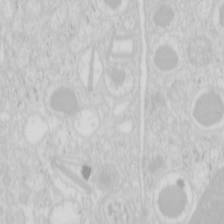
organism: Mouse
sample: Pancreas